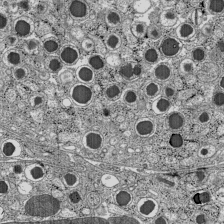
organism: C57BL Mouse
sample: Pancreatic islet